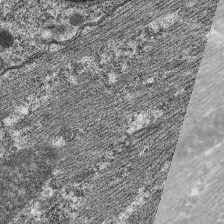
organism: C. elegans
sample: Pharynx